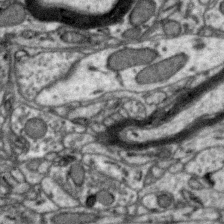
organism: Zebra finch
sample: Brain